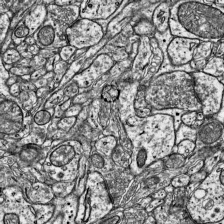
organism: Mouse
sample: Visual Cortex